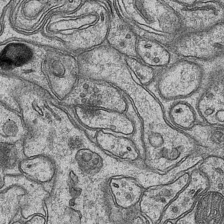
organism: Mouse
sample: CA1 Hippocampus